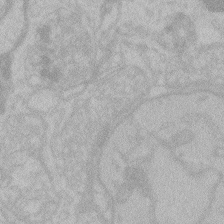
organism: Zebrafish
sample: Macrophage infected with Toxoplasma gondii